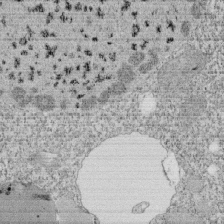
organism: Tetrahymena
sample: Cilia in tetrahymena